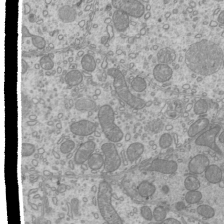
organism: Mouse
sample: Cilia; mouse epididymis